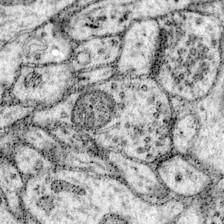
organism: Mouse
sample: Primary visual cortex